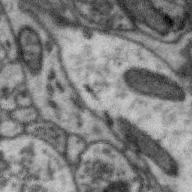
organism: Zebra finch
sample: Brain